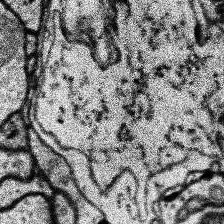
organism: Human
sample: Temporal Lobe